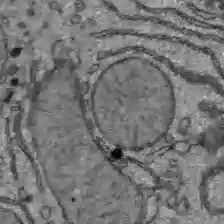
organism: C57BL Mouse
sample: Liver